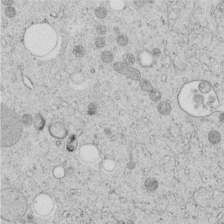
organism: C. elegans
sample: C. elegans embryo early stage